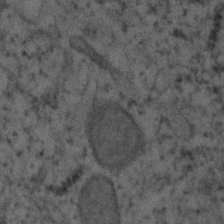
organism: Human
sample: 1205lu cells